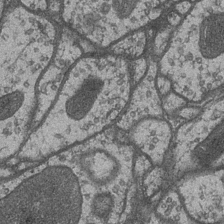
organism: Drosophila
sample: Optic medulla